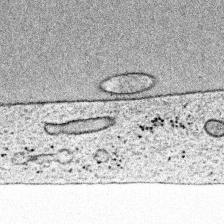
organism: Human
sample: HeLa cells